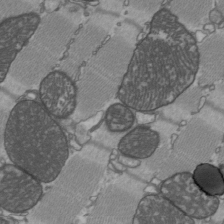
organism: C57BL Mouse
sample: Heart